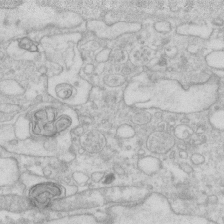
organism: Human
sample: Fibroblast cells